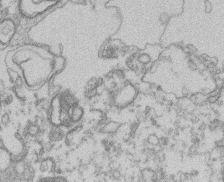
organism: Mouse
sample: T cell stromal cell synapse